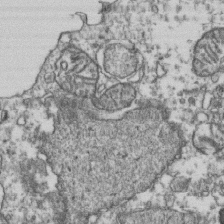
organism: Human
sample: Activated Jurkat CD4+ T cells